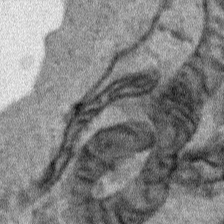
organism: Human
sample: Mitochondria in HCT116 cells